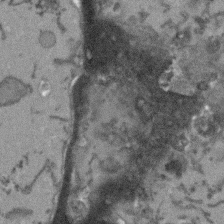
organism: Arabidopsis thaliana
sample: Root tip